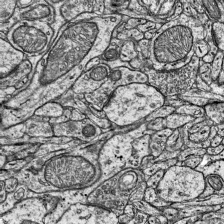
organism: Mouse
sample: Visual Cortex